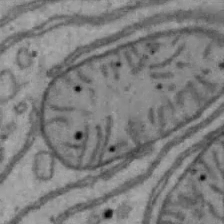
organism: Mouse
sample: Liver